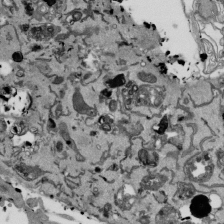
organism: Mouse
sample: ED-1 cell nuclei; centrioles